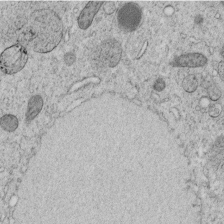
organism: C. elegans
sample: C. elegans embryo early stage